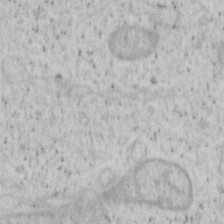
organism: Human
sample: HeLa cells